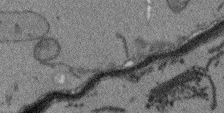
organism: Arabidopsis thaliana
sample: Root tip